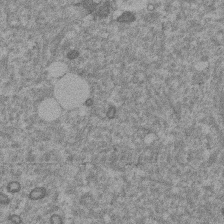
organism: Mouse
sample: Dividing mouse embryo 1 cell stage